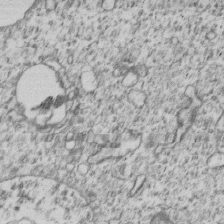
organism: Human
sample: MDA-MB-231 cells